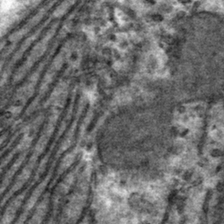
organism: Mouse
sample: Mouse hepatocytes